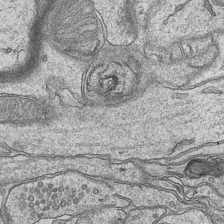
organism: Mouse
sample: CA1 Hippocampus